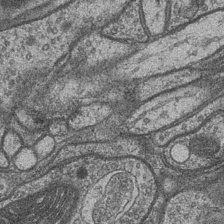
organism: Drosophila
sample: Optic medulla